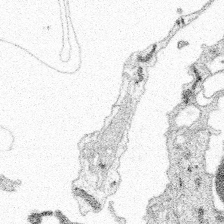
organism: Spongilla lacustris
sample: Multiple